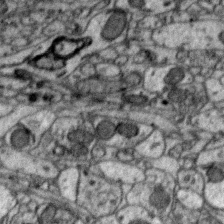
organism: Zebra finch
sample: Brain